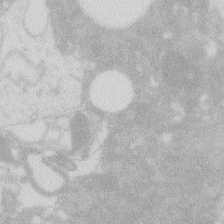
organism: Zebrafish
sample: Macrophage